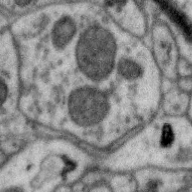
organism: Zebra finch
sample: Brain